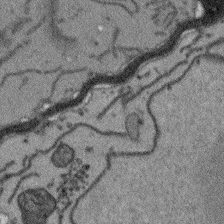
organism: Arabidopsis thaliana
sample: Root tip